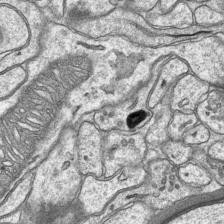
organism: Mouse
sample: CA1 Hippocampus